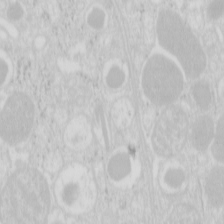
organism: Mouse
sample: Pancreas